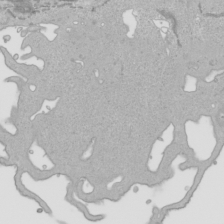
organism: Human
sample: Mitochondria in HCT116 cells